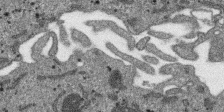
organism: Human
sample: Lung epithelial cells infected with SARS-CoV-2